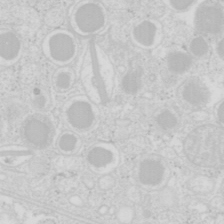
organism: Mouse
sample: Pancreas